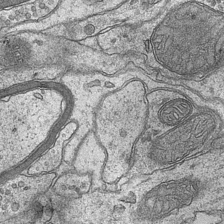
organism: Mouse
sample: CA1 Hippocampus